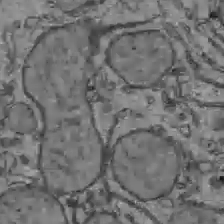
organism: C57BL Mouse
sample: Liver